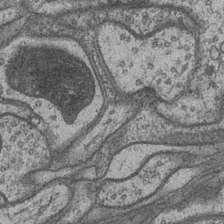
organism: Drosophila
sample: Optic medulla